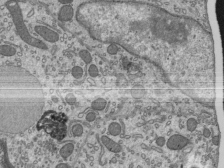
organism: Mouse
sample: Mouse epididymis efferent ductule cilia